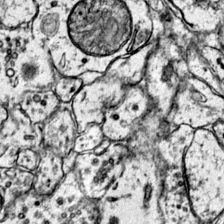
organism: Mouse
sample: Primary visual cortex